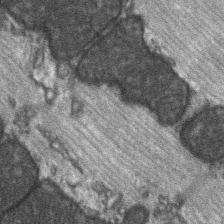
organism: C57BL Mouse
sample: Soleus